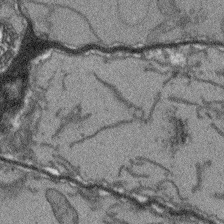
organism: Arabidopsis thaliana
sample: Root tip